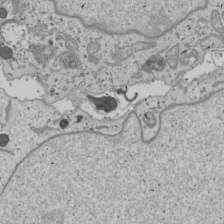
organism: Human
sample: Mitochondria in U2OS cells